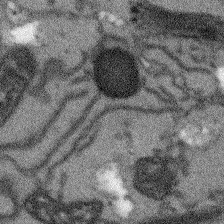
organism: Arabidopsis thaliana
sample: Root tip